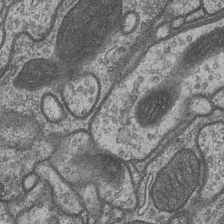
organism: Drosophila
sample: Optic medulla